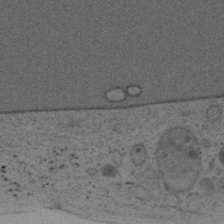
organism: Human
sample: HeLa cells